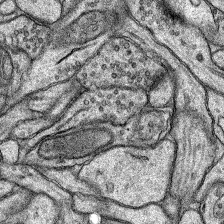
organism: Rat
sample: Hippocampus